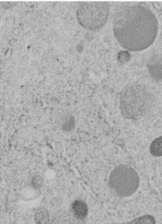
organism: C. elegans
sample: C. elegans embryo early stage